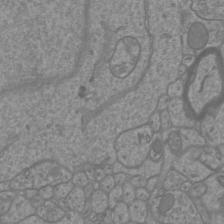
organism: Mouse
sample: Cortical neurons